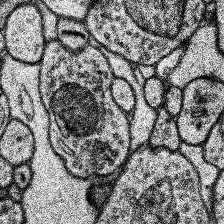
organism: Human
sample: Temporal Lobe